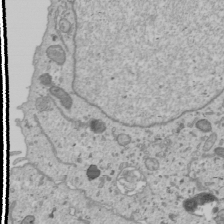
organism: Human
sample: Mitochondria in U2OS cells